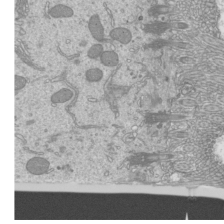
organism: Mouse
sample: Cilia; mouse epididymis